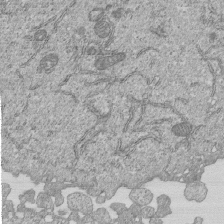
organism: Human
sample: MDA-MB-231 cells